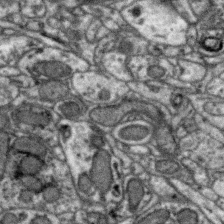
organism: Zebra finch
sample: Brain